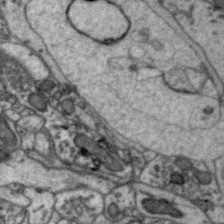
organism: Zebra finch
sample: Brain